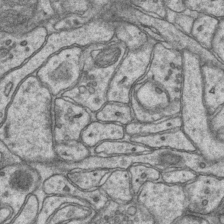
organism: Mouse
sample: CA1 Hippocampus